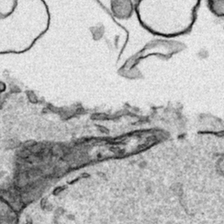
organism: Human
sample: Mitochondria in HCT116 cells